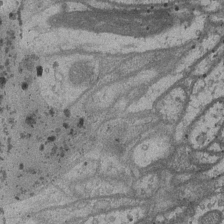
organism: Drosophila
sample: Optic medulla